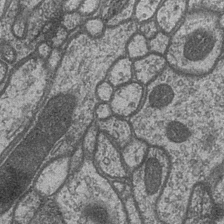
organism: Drosophila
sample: Optic medulla